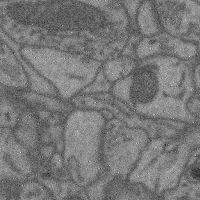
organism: Mouse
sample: Cerebral cortex